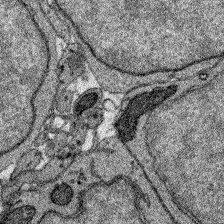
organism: Zebrafish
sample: Larval olfactory bulb